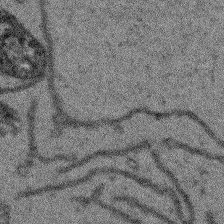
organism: Arabidopsis thaliana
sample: Root tip